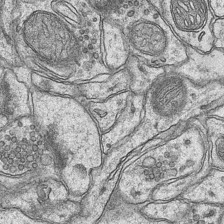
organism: Mouse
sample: CA1 Hippocampus